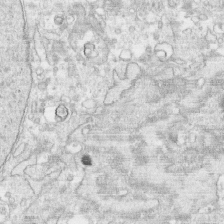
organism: Human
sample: CRL-1474